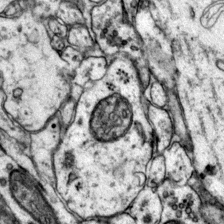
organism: Mouse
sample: Primary visual cortex